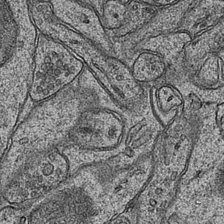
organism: Mouse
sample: CA1 Hippocampus